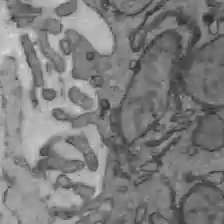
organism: C57BL Mouse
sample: Liver